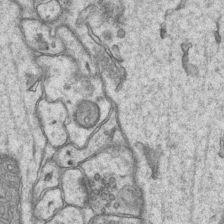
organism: Mouse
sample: CA1 Hippocampus